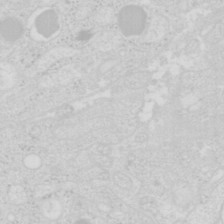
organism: Mouse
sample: Pancreas